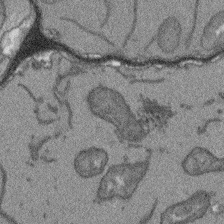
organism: Arabidopsis thaliana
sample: Root tip